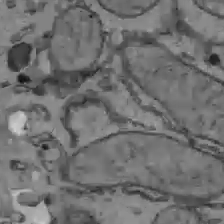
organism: C57BL Mouse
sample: Liver